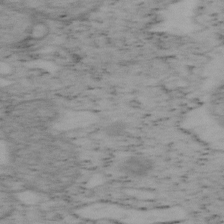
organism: Mouse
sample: OT-I killer T cells with ID8 ovarian cancer cells